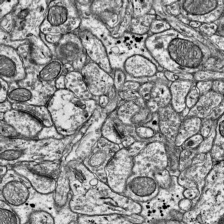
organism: Mouse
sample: Visual Cortex